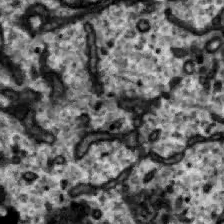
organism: Human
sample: HeLa cells